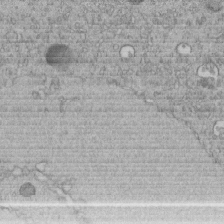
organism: C. elegans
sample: C. elegans embryo early stage